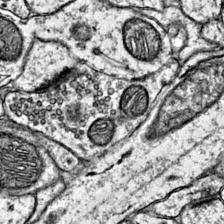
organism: Mouse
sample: Primary visual cortex